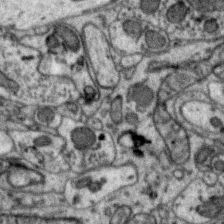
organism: Zebra finch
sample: Brain